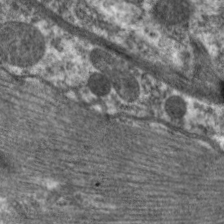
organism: C. elegans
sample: Pharynx